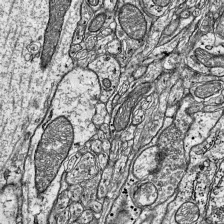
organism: Mouse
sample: Visual Cortex